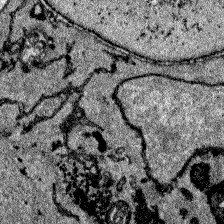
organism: Zebrafish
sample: Larval olfactory bulb